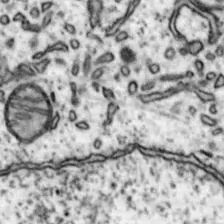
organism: Mouse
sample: Nucleus accumbens